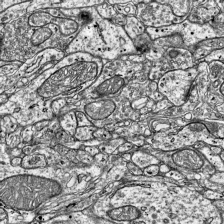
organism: Mouse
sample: Visual Cortex